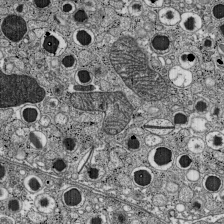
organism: C57BL Mouse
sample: Pancreatic islet